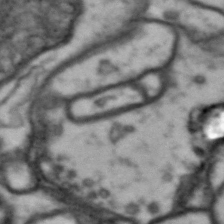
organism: Drosophila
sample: Brain